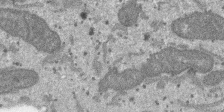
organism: Human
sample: Lung epithelial cells infected with SARS-CoV-2